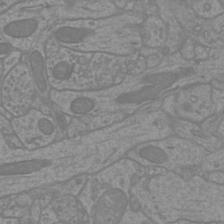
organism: Mouse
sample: Cortical neurons